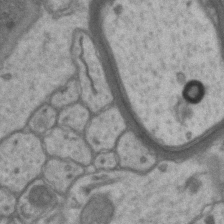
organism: Mouse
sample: CA1 Hippocampus